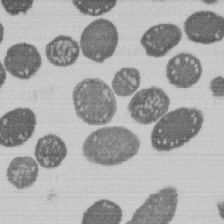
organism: E. coli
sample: Bacterial nucleoid